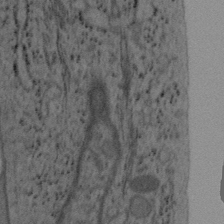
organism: Human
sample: HeLa cells